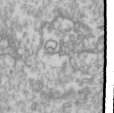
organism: Drosophila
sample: Cell division; meiosis; drosophila spermatocytes